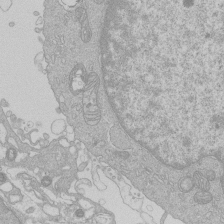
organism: Human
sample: Macrophage cells